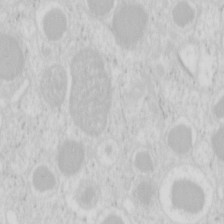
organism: Mouse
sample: Pancreas